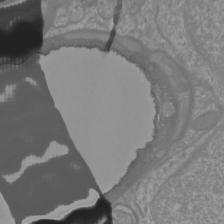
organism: Mouse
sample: Cortical neurons